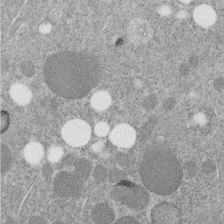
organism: C. elegans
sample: C. elegans embryo early stage